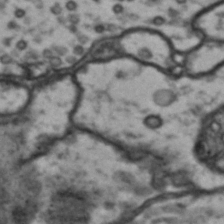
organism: Drosophila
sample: Brain